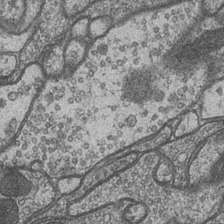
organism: Drosophila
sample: Optic medulla